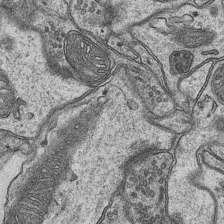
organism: Mouse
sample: CA1 Hippocampus